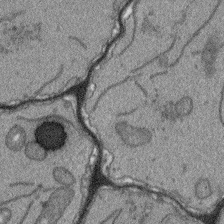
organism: Arabidopsis thaliana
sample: Root tip